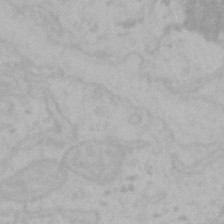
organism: Mouse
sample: Choroid plexus